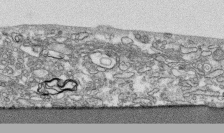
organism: Human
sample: CRL-1474